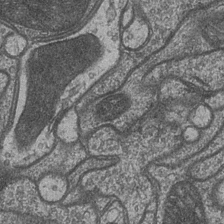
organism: Drosophila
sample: Optic medulla